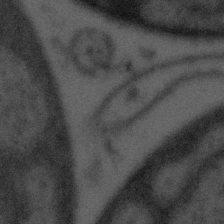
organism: Tuwongella immobilis